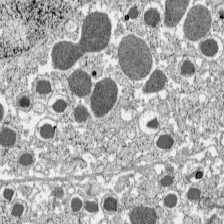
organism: C57BL Mouse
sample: Pancreatic islet